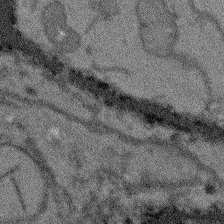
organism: Arabidopsis thaliana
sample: Root tip